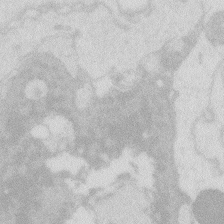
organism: Zebrafish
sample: Macrophage